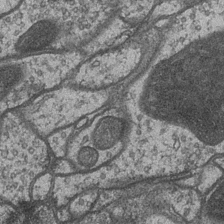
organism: Drosophila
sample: Optic medulla